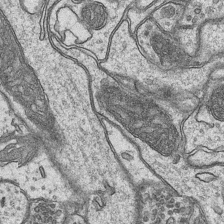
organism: Mouse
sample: CA1 Hippocampus